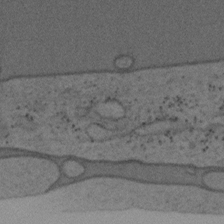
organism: Human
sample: HeLa cells